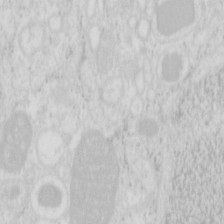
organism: Mouse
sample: Pancreas